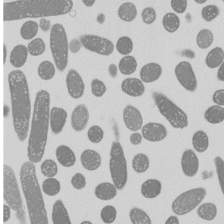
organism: E. coli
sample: Bacterial nucleoid